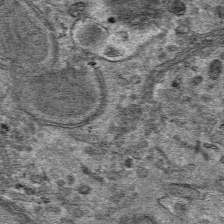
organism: Mouse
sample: Mouse hepatocytes